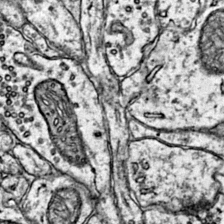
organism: Mouse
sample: Primary visual cortex